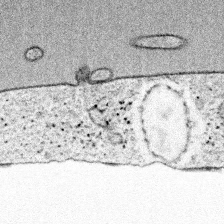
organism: Human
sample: HeLa cells